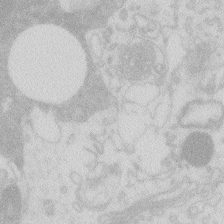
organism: Zebrafish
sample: Macrophage